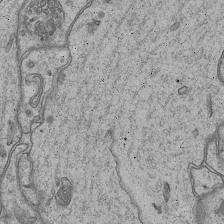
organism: Mouse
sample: CA1 Hippocampus